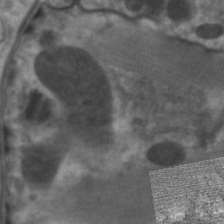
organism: C. elegans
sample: Pharynx